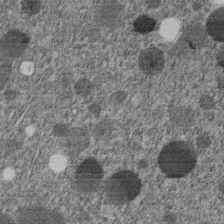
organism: C. elegans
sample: C. elegans embryo early stage